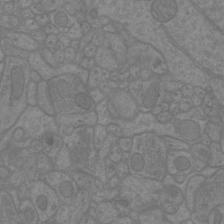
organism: Mouse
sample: Cortical neurons